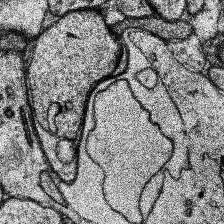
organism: Human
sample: Temporal Lobe